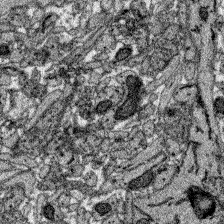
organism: Zebrafish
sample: Larval olfactory bulb